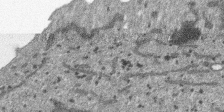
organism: Human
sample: Lung epithelial cells infected with SARS-CoV-2